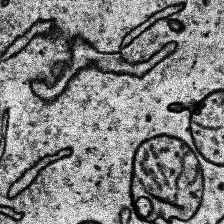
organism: Human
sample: Temporal Lobe